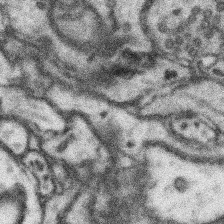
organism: Mouse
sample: Somatosensory cortex neuropil